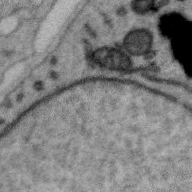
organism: Zebra finch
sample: Brain